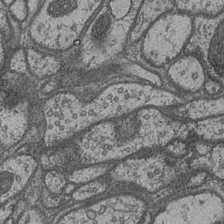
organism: Drosophila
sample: Optic medulla